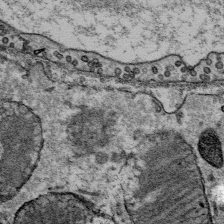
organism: Mouse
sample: Mouse Salivary gland